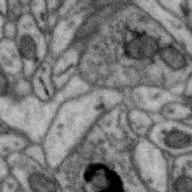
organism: Zebra finch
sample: Brain